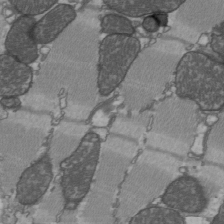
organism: C57BL Mouse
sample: Heart